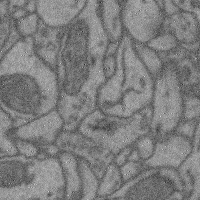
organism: Mouse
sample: Cerebral cortex